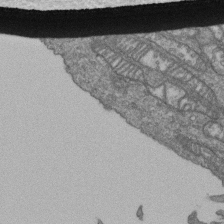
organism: Human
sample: Retinal organoid Rod and Cone cells